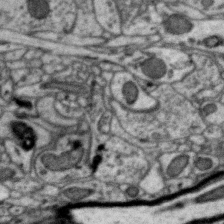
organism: Zebra finch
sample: Brain